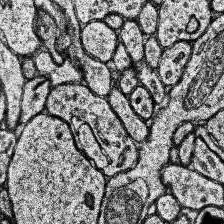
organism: Human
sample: Temporal Lobe